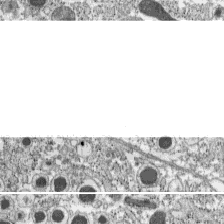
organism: C57BL Mouse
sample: Pancreatic islet